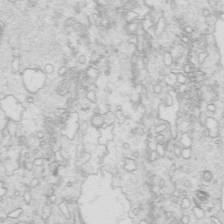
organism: Mouse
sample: Multiciliated cells